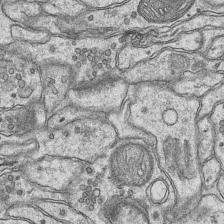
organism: Mouse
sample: CA1 Hippocampus